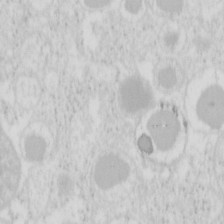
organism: Mouse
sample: Pancreas